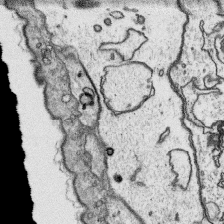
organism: Platynereis dumerilii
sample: Parapodia